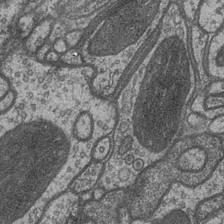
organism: Drosophila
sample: Optic medulla